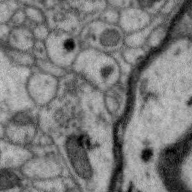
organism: Zebra finch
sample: Brain